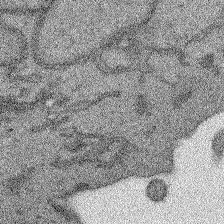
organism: Human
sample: HeLa cells